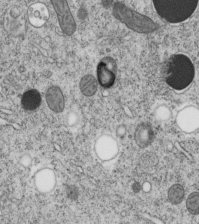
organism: C. elegans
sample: C. elegans embryo early stage